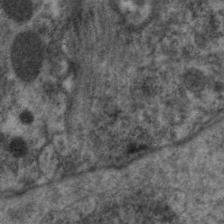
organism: C. elegans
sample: Pharynx